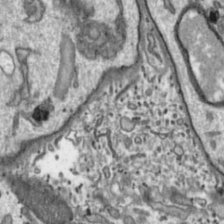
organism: Toxoplasma gondii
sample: Parasites in a vacuole inside a host cell